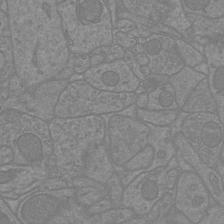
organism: Mouse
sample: Cortical neurons